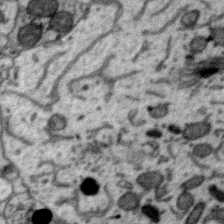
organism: Zebra finch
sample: Brain